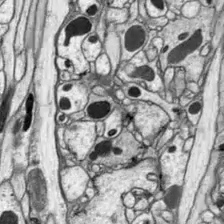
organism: Drosophila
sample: Optic lobe